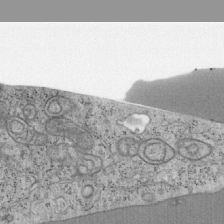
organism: Human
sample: HeLa cells